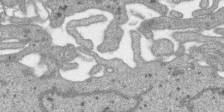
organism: Human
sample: Lung epithelial cells infected with SARS-CoV-2